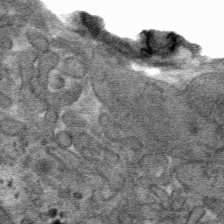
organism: Mouse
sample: Mouse hepatocytes